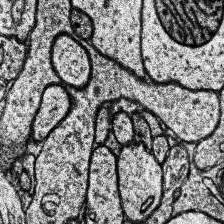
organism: Human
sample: Temporal Lobe